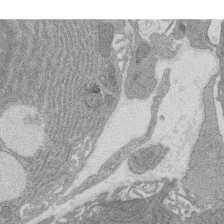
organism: Rat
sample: Salivary granule